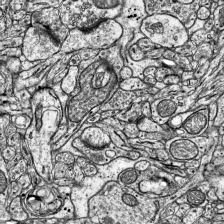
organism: Mouse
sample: Visual Cortex